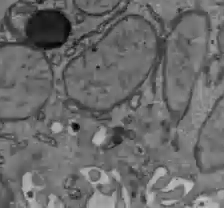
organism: C57BL Mouse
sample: Liver